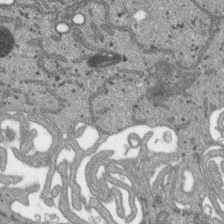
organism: Human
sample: Lung epithelial cells infected with SARS-CoV-2